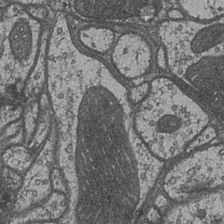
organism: Drosophila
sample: Optic medulla